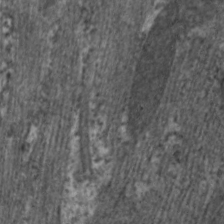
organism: C. elegans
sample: Pharynx